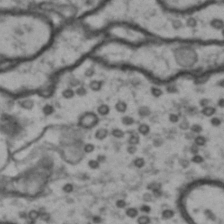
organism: Drosophila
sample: Brain